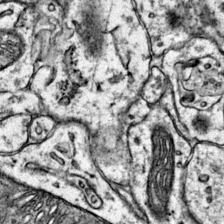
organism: Mouse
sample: Primary visual cortex